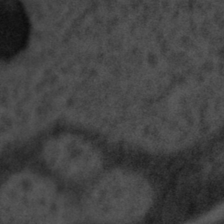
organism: Tuwongella immobilis